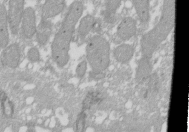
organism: Xenopus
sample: Cilia; centrioles in frog embryo cells